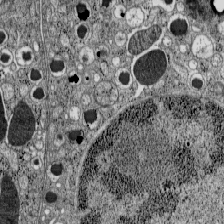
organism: C57BL Mouse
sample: Pancreatic islet